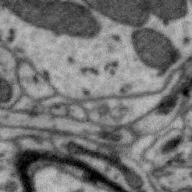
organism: Zebra finch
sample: Brain